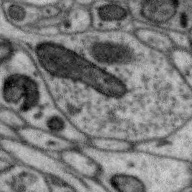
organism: Zebra finch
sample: Brain